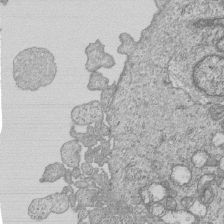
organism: Human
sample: MDA-MB-231 cells